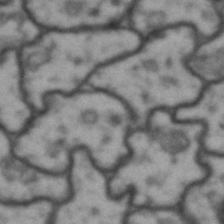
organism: Drosophila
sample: Brain